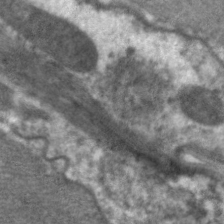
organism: C. elegans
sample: Pharynx